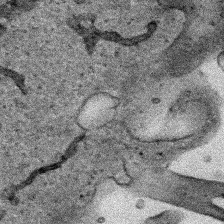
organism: Human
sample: Mitochondria in HCT116 cells